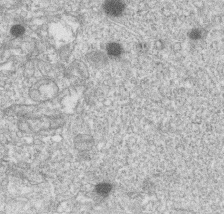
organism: Human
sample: HeLa cell HIV synapse